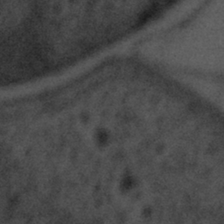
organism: Tuwongella immobilis